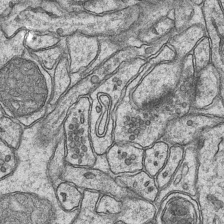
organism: Mouse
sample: CA1 Hippocampus